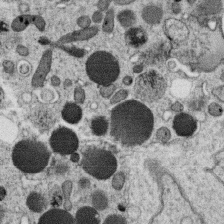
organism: C. elegans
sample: C. elegans oocyte; sperm cells